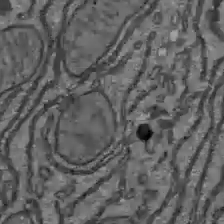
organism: C57BL Mouse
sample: Liver